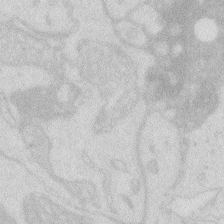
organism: Zebrafish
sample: Macrophage